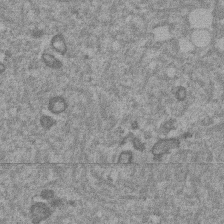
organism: Mouse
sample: Dividing mouse embryo 1 cell stage